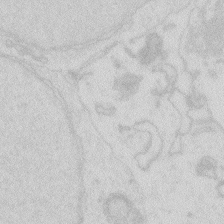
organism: Zebrafish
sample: Macrophage